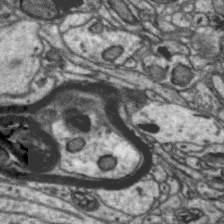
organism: Zebra finch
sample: Brain